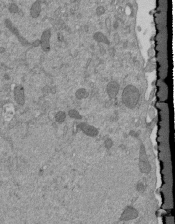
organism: Mouse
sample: ED-1 cell nuclei; centrioles